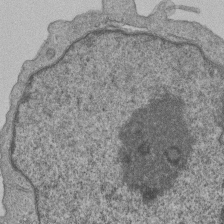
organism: Human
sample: MDA-MB-231 cells